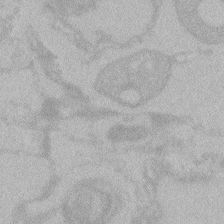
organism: Zebrafish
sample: Macrophage infected with Toxoplasma gondii